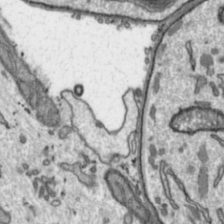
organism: Toxoplasma gondii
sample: Parasites in a vacuole inside a host cell